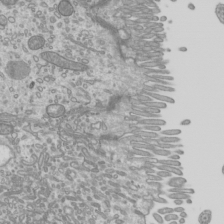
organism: Mouse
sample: Cilia; mouse epididymis